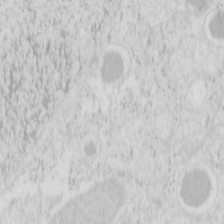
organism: Mouse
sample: Pancreas